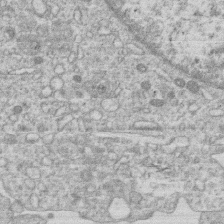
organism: Human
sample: Macrophage cells